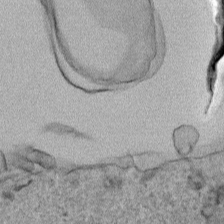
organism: Human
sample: Mitochondria in HCT116 cells